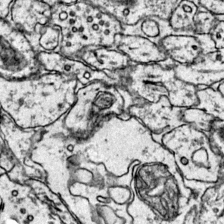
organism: Mouse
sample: Primary visual cortex